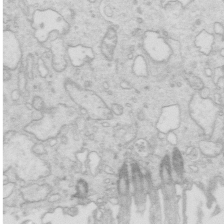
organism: Mouse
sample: Multiciliated cells